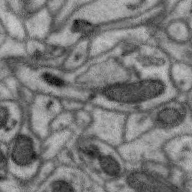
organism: Zebra finch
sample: Brain